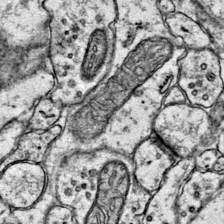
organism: Mouse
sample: Primary visual cortex